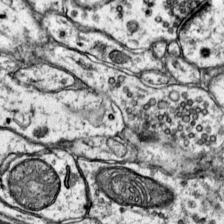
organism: Mouse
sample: Primary visual cortex